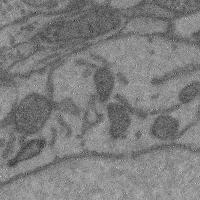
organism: Mouse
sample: Cerebral cortex